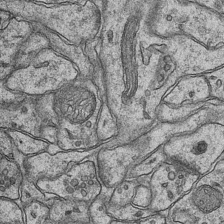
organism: Mouse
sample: CA1 Hippocampus